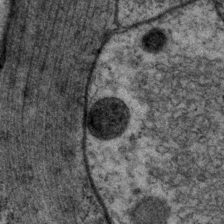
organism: P. pacificus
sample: Pharynx